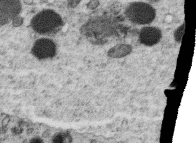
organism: C. elegans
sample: C. elegans oocyte; sperm cells